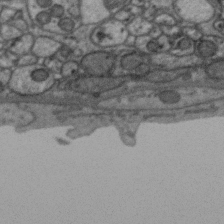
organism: Zebra finch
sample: Brain